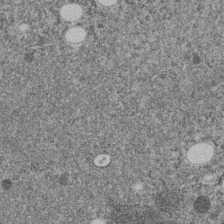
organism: C. elegans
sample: C. elegans embryo early stage